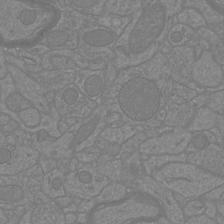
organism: Mouse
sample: Cortical neurons